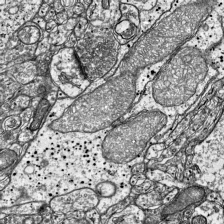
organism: Mouse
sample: Visual Cortex